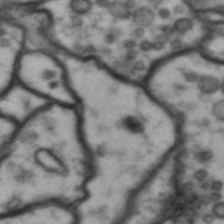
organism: Drosophila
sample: Brain